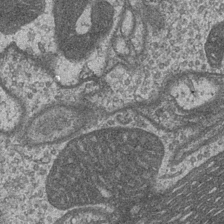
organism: Drosophila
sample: Optic medulla